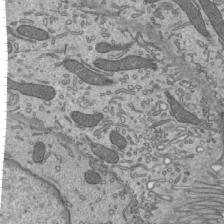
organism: Mouse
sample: Mouse epididymis efferent ductule cilia